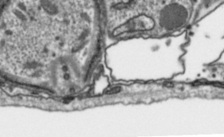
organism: Toxoplasma gondii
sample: Parasites in a vacuole inside a host cell